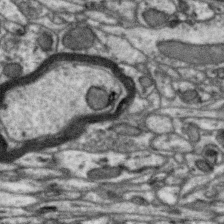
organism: Zebra finch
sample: Brain